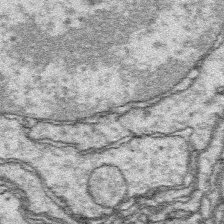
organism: Platynereis dumerilii